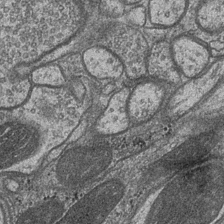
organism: Drosophila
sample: Optic medulla